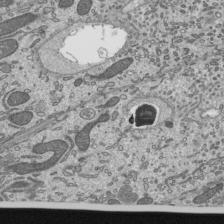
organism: Mouse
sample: Mouse epididymis efferent ductule cilia